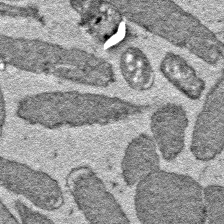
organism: E. coli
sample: E. Coli Bacteria